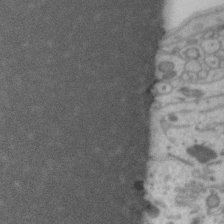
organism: Zebra finch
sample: Brain